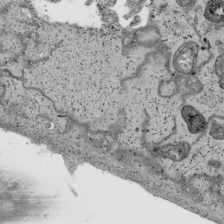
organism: Human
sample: Mitochondria in HCT116 cells